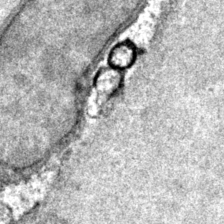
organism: Murine (Unspecified Species)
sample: Bone